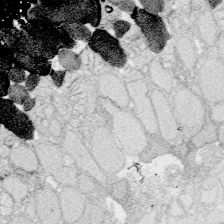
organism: Zebrafish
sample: Whole-Brain